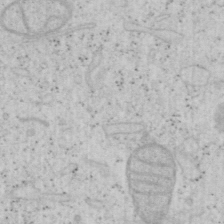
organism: Human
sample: HeLa cells